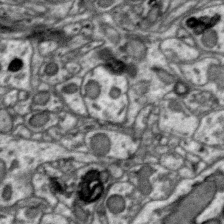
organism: Zebra finch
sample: Brain